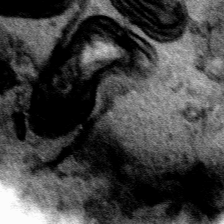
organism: Human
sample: Mitochondria in HCT116 cells